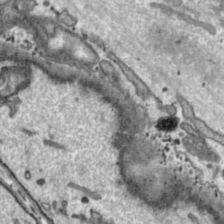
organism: Toxoplasma gondii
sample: Parasites in a vacuole inside a host cell